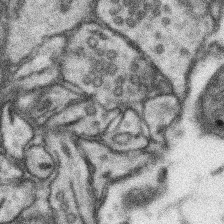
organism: Mouse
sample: Somatosensory cortex neuropil